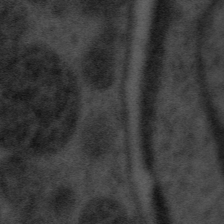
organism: Tuwongella immobilis